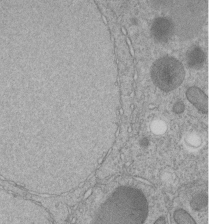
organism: C. elegans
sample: C. elegans embryo early stage